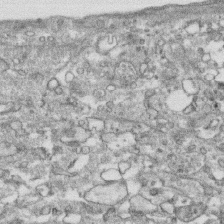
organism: Human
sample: CRL-1474